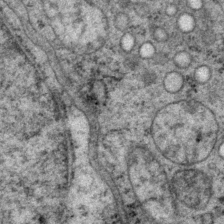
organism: P. pacificus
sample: Pharynx